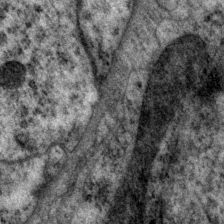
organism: P. pacificus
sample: Pharynx